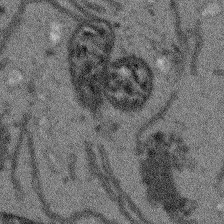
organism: Arabidopsis thaliana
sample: Root tip